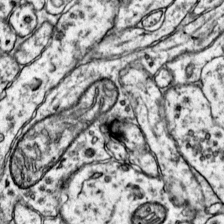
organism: Mouse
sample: Primary visual cortex